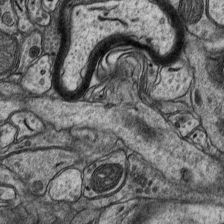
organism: Mouse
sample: CA1 Hippocampus